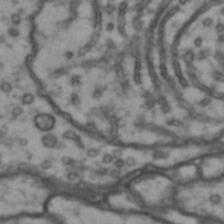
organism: Drosophila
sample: Brain